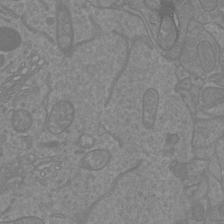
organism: Mouse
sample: Cortical neurons